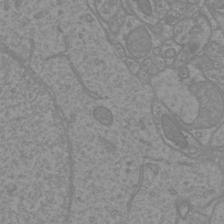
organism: Mouse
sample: Cortical neurons